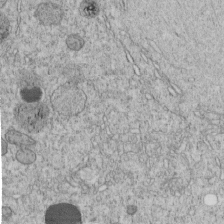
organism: C. elegans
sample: C. elegans embryo early stage